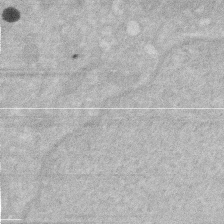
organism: Human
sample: HIV infected U937 cells